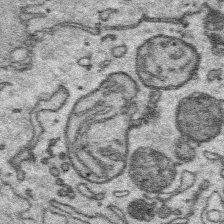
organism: Platynereis dumerilii